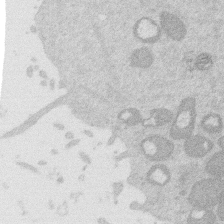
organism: Mouse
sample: Dividing mouse embryo 1 cell stage